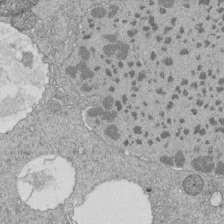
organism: Tetrahymena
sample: Cilia in tetrahymena